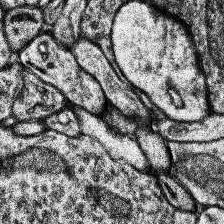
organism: Human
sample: Temporal Lobe